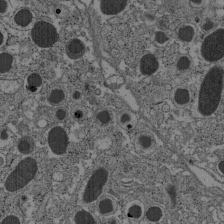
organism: C57BL Mouse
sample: Pancreatic islet